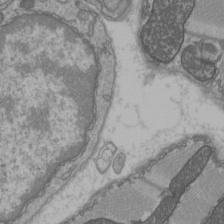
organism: C57BL Mouse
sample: Heart